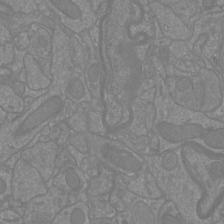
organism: Mouse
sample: Cortical neurons